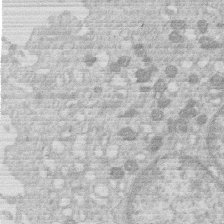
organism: Human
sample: Macrophage cells